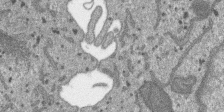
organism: Human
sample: Lung epithelial cells infected with SARS-CoV-2